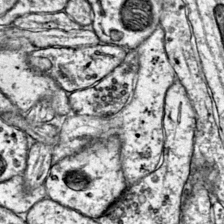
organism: Mouse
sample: Primary visual cortex